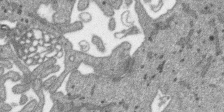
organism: Human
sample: Lung epithelial cells infected with SARS-CoV-2